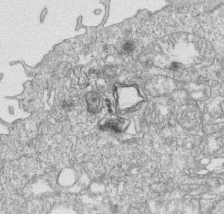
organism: Human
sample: HeLa cell HIV synapse